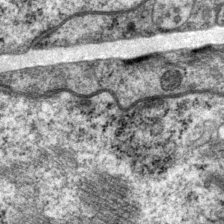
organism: P. pacificus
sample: Pharynx